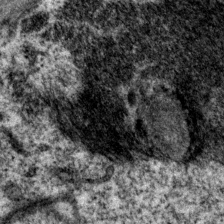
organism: P. pacificus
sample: Pharynx